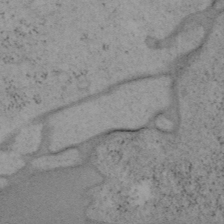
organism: Mouse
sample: OT-I killer T cells with ID8 ovarian cancer cells